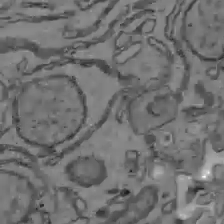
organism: C57BL Mouse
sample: Liver